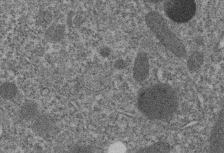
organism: C. elegans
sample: C. elegans embryo early stage